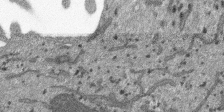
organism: Human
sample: Lung epithelial cells infected with SARS-CoV-2